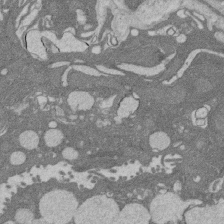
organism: Rat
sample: Salivary granule